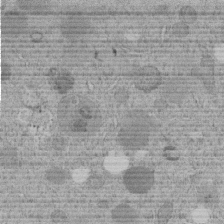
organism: C. elegans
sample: C. elegans embryo early stage